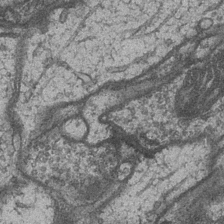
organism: Drosophila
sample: Optic medulla